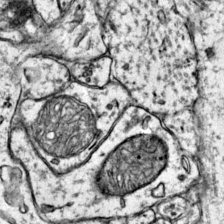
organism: Mouse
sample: Primary visual cortex